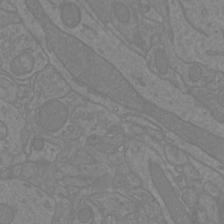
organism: Mouse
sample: Cortical neurons